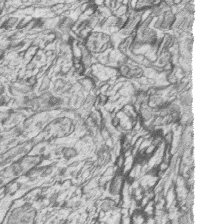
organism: Zebrafish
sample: synaptic ribbons in rod cells and cone cells